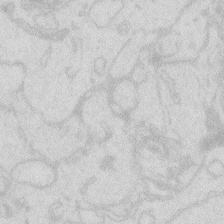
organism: Zebrafish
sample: Macrophage